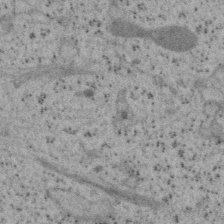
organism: Human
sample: HeLa cells